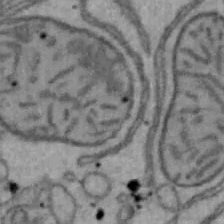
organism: Mouse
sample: Liver